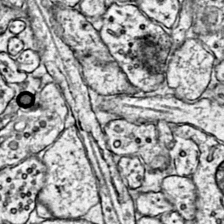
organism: Mouse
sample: Primary visual cortex